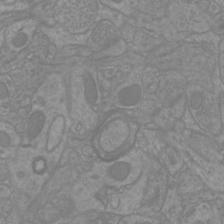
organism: Mouse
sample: Cortical neurons